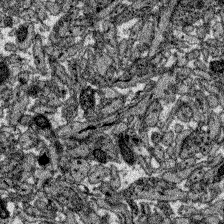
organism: Zebrafish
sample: Larval olfactory bulb